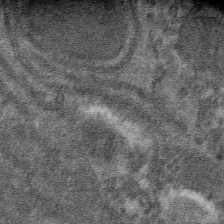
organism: Mouse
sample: Mouse hepatocytes